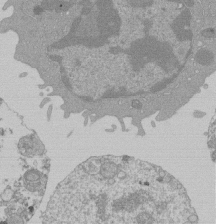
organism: Mouse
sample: Activated Pmel transgenic CD8+ T Cells